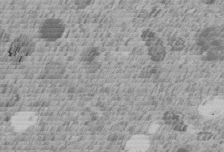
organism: C. elegans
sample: C. elegans embryo early stage